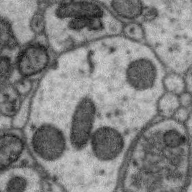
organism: Zebra finch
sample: Brain